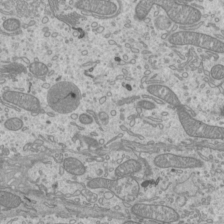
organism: Mouse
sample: Cilia; mouse epididymis